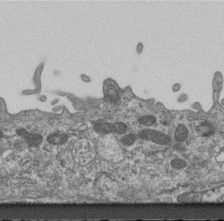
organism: Mouse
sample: Centriole in ependymal cells